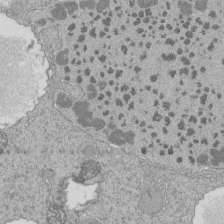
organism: Tetrahymena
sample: Cilia in tetrahymena